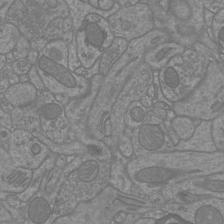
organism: Mouse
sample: Cortical neurons